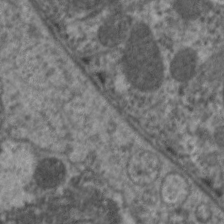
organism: C. elegans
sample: Pharynx